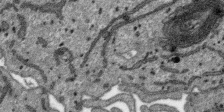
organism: Human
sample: Lung epithelial cells, uninfected (mock) control